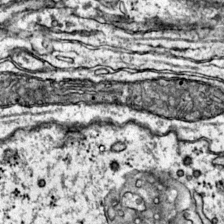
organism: Mouse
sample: Primary visual cortex